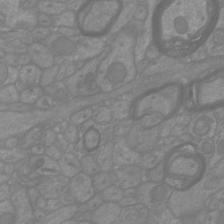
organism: Mouse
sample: Cortical neurons